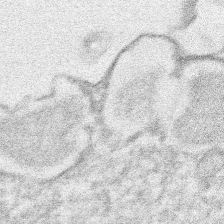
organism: Xenopus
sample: Cilia; centrioles in frog embryo cells